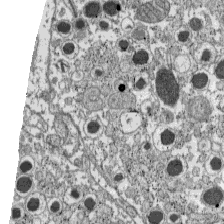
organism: C57BL Mouse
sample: Pancreatic islet